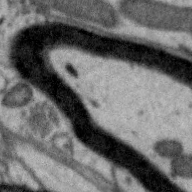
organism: Zebra finch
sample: Brain